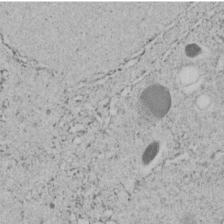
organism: C. elegans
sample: C. elegans embryo early stage